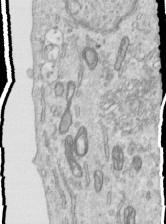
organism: Human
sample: Centriole in RPE cells